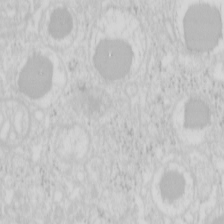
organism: Mouse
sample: Pancreas